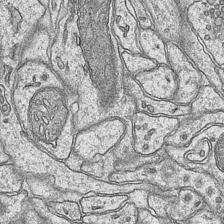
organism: Mouse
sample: CA1 Hippocampus